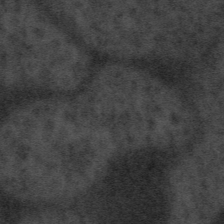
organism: Tuwongella immobilis